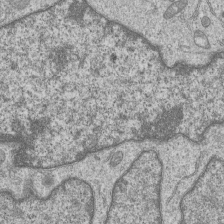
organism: Human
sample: MDA-MB-231 cells